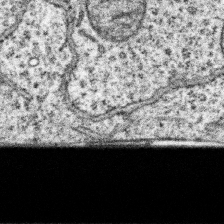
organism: Human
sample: HeLa cells